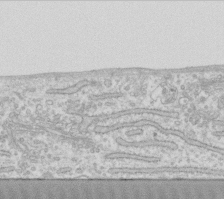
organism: Human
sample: Fibroblast cells